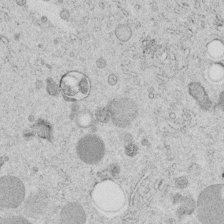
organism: C. elegans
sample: C. elegans embryo early stage